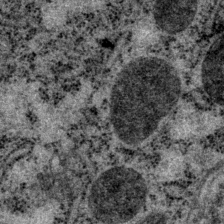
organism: P. pacificus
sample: Pharynx